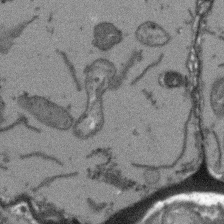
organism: Arabidopsis thaliana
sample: Root tip